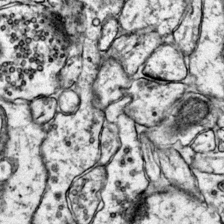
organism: Mouse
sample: Primary visual cortex